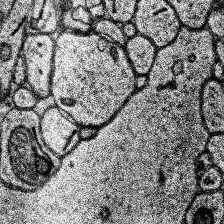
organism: Human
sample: Temporal Lobe